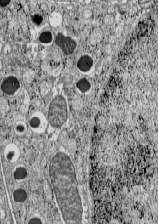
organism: C57BL Mouse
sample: Pancreatic islet